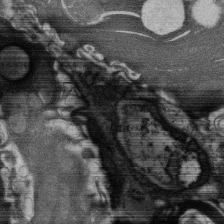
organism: Rat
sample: Salivary granule